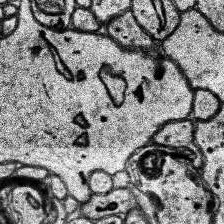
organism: Human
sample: Temporal Lobe